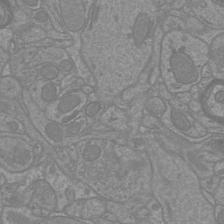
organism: Mouse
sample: Cortical neurons